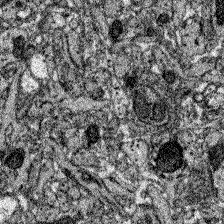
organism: Zebrafish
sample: Larval olfactory bulb